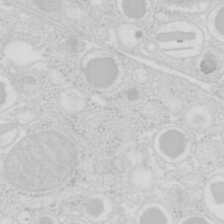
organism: Mouse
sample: Pancreas